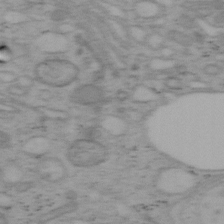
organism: Mouse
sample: OT-I killer T cells with ID8 ovarian cancer cells